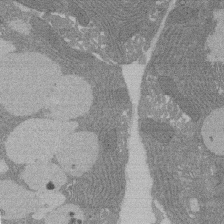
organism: Rat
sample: Salivary granule